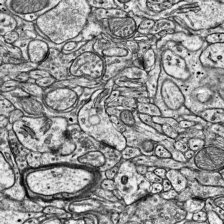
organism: Mouse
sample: Visual Cortex